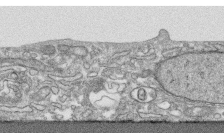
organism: Human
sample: CRL-1474